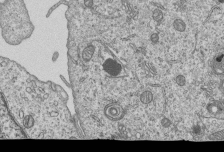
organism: Human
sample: MDA-MB-231 cells